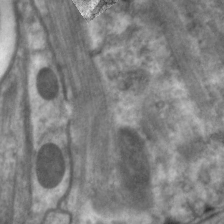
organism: C. elegans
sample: Pharynx